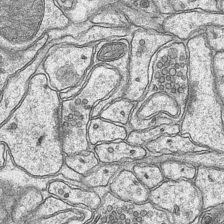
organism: Mouse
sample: CA1 Hippocampus